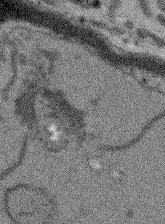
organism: Arabidopsis thaliana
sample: Root tip